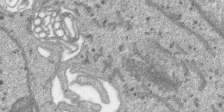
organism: Human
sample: Lung epithelial cells infected with SARS-CoV-2